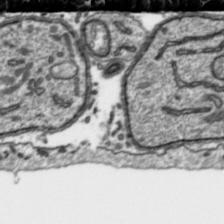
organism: Toxoplasma gondii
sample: Parasites in a vacuole inside a host cell